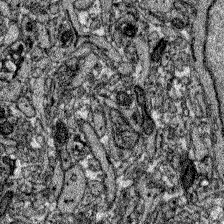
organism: Zebrafish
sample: Larval olfactory bulb